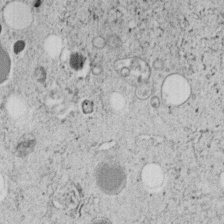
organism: C. elegans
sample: C. elegans embryo early stage